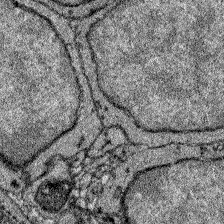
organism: Zebrafish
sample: Larval olfactory bulb